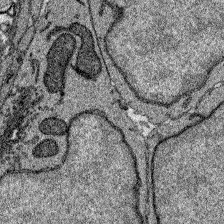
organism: Zebrafish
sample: Larval olfactory bulb